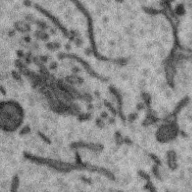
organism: Zebra finch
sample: Brain